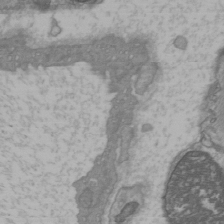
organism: C57BL Mouse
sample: Heart